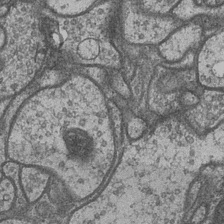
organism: Drosophila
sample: Optic medulla